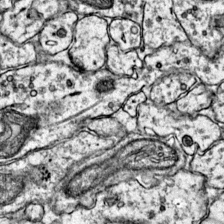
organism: Mouse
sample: Primary visual cortex